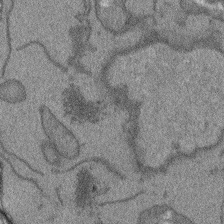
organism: Arabidopsis thaliana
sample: Root tip